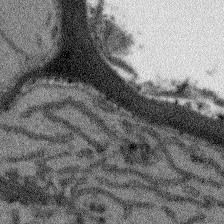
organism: Arabidopsis thaliana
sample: Root tip